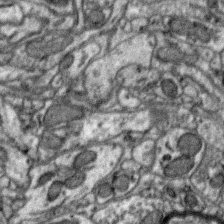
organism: Zebra finch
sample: Brain